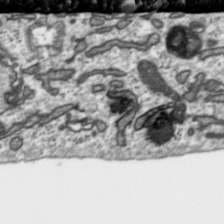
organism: Toxoplasma gondii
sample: Parasites in a vacuole inside a host cell